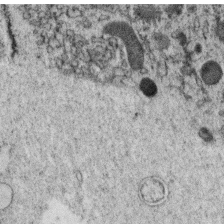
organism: C. elegans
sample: C. elegans oocyte; sperm cells